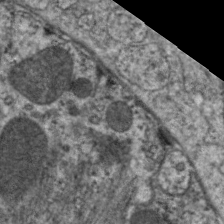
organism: C. elegans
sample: Pharynx